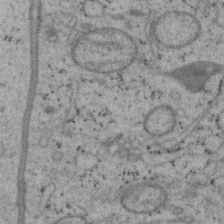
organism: Human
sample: HeLa cells